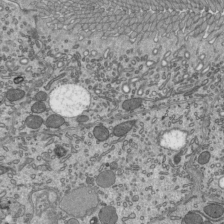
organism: Mouse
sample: Mouse epididymis efferent ductule cilia